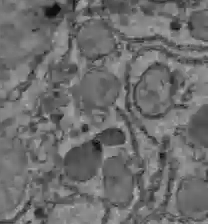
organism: C57BL Mouse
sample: Liver